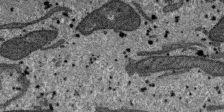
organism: Human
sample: Lung epithelial cells, uninfected (mock) control